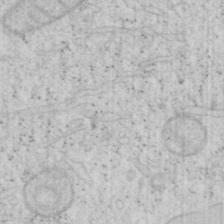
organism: Human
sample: HeLa cells